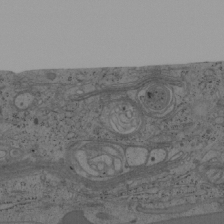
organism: Human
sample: HeLa cells